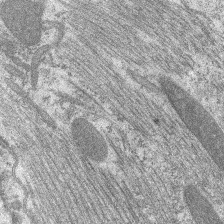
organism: C. elegans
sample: Pharynx